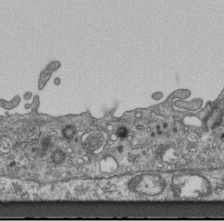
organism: Mouse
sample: Centriole in ependymal cells